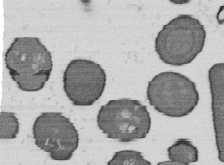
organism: B. subtilis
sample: Bacterial spore